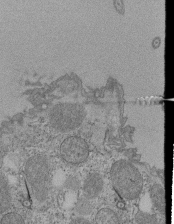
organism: Tetrahymena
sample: Cilia in tetrahymena